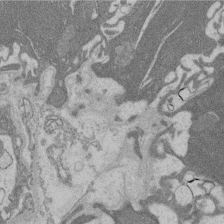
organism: Rat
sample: Salivary granule